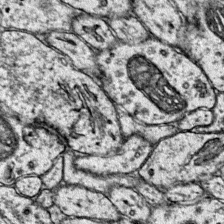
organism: Mouse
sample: Primary visual cortex